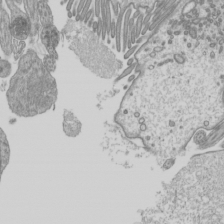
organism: Mouse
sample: Cilia; mouse epididymis